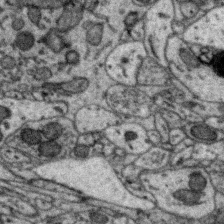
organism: Zebra finch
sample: Brain